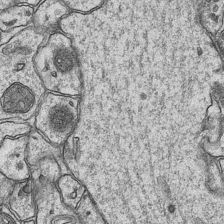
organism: Mouse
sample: CA1 Hippocampus